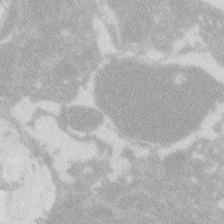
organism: Zebrafish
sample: Macrophage